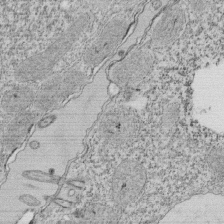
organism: Tetrahymena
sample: Cilia in tetrahymena